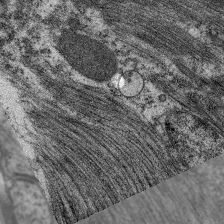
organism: C. elegans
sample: Pharynx